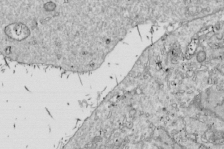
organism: Drosophila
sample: Cell division; meiosis; drosophila spermatocytes